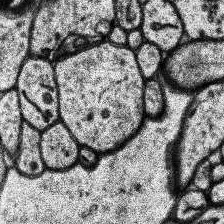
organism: Human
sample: Temporal Lobe